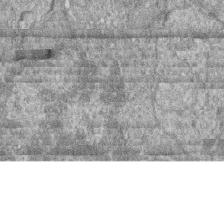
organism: Zebrafish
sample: Cilia; retinal pigment epithelium